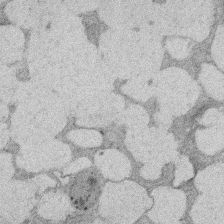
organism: Rat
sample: Salivary granule